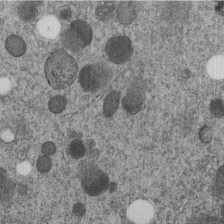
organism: C. elegans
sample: C. elegans embryo early stage